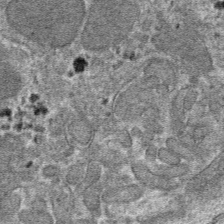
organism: Mouse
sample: Mouse hepatocytes